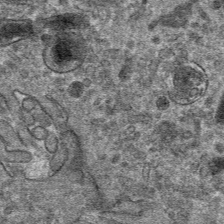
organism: Mouse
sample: Mouse hepatocytes